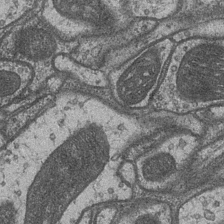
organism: Drosophila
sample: Optic medulla